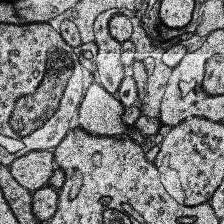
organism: Human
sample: Temporal Lobe